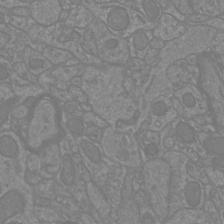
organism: Mouse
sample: Cortical neurons